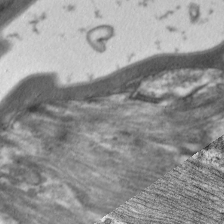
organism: C. elegans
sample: Pharynx